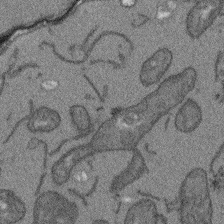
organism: Arabidopsis thaliana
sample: Root tip